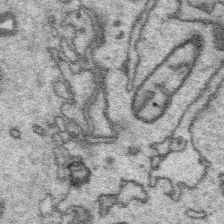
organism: Platynereis dumerilii